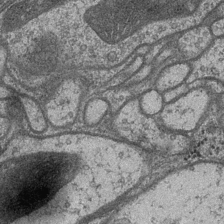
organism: Drosophila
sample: Optic medulla